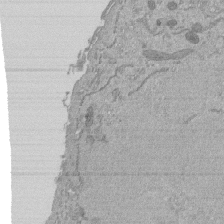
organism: Mouse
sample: ED-1 cell nuclei; centrioles